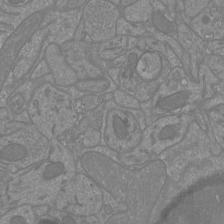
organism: Mouse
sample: Cortical neurons